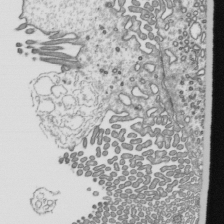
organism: Mouse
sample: Mouse epididymis efferent ductule cilia